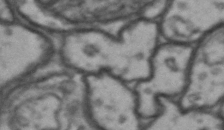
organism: Drosophila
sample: Brain